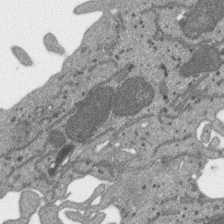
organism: Human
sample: Lung epithelial cells infected with SARS-CoV-2